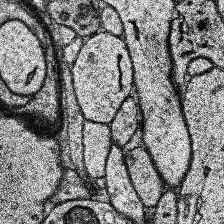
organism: Human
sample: Temporal Lobe